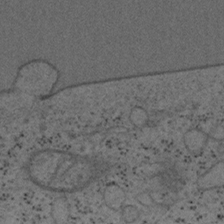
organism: Human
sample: HeLa cells